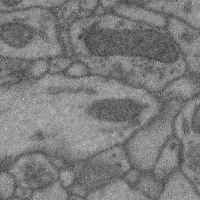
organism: Mouse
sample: Cerebral cortex